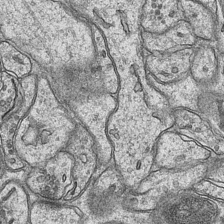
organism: Mouse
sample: CA1 Hippocampus